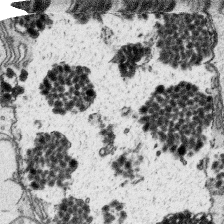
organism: Platynereis dumerilii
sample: Parapodia